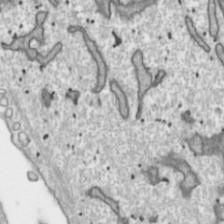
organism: Toxoplasma gondii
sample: Parasites in a vacuole inside a host cell